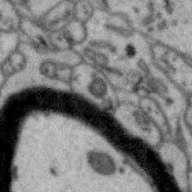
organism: Zebra finch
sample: Brain